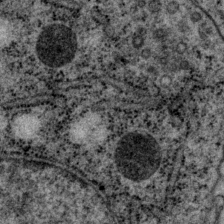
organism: P. pacificus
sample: Pharynx